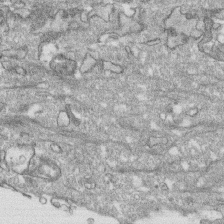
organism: Human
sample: CRL-1474